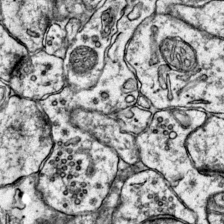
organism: Mouse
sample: Primary visual cortex